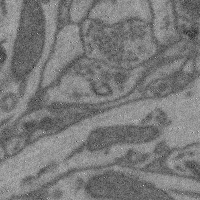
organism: Mouse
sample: Cerebral cortex